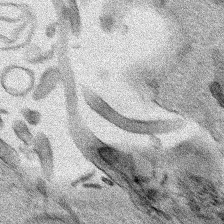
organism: Human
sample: Mitochondria in HCT116 cells